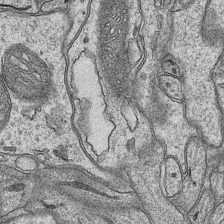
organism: Mouse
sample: CA1 Hippocampus